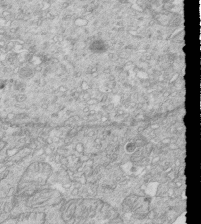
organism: Mouse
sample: Multiciliated cells